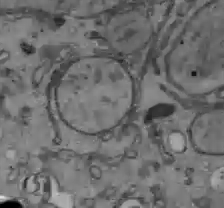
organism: C57BL Mouse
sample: Liver